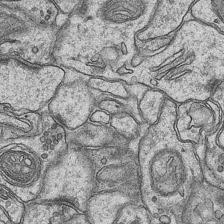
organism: Mouse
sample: CA1 Hippocampus